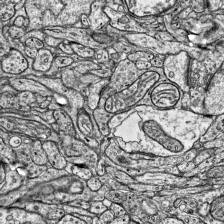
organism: Mouse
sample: Visual Cortex